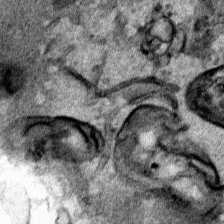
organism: Human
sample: Mitochondria in HCT116 cells